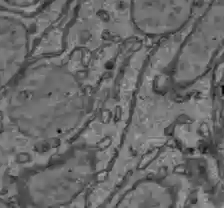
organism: C57BL Mouse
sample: Liver